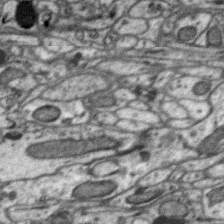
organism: Zebra finch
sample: Brain